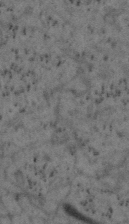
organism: Human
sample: HeLa cells